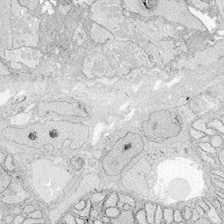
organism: Zebrafish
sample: Whole-Brain